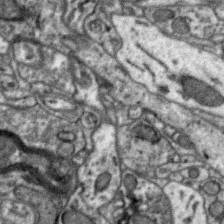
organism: Zebra finch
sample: Brain